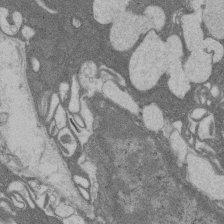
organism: Rat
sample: Salivary granule